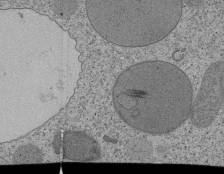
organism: Tetrahymena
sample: Cilia in tetrahymena